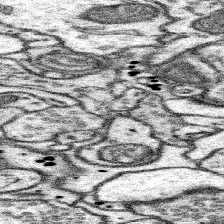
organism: Mouse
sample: Somatosensory cortex neuropil